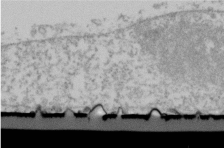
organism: Human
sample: U2-OS cells